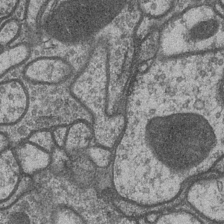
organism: Drosophila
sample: Optic medulla